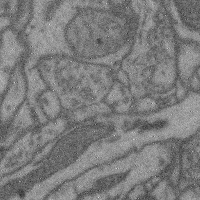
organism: Mouse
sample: Cerebral cortex